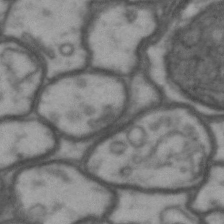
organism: Drosophila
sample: Brain